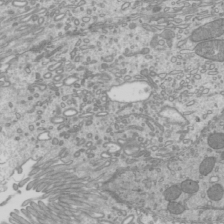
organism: Mouse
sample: Cilia; mouse epididymis